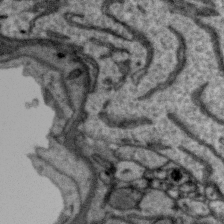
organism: Zebra finch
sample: Brain